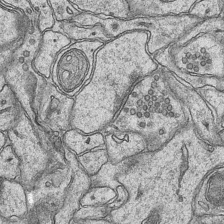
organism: Mouse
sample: CA1 Hippocampus